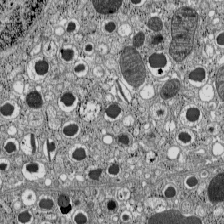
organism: C57BL Mouse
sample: Pancreatic islet